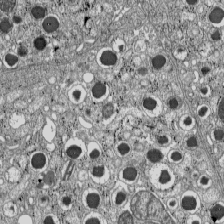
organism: C57BL Mouse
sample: Pancreatic islet